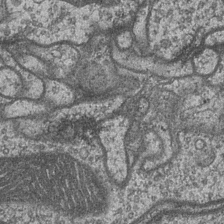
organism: Drosophila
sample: Optic medulla